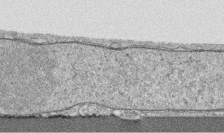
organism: Human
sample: CRL-1474